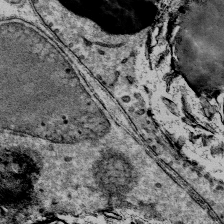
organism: Mouse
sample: Mouse Salivary gland